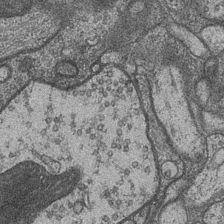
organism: Drosophila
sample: Optic medulla